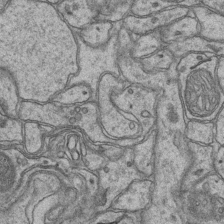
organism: Mouse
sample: CA1 Hippocampus